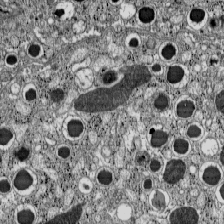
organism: C57BL Mouse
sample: Pancreatic islet